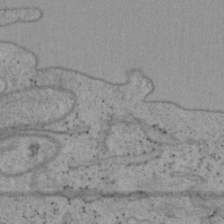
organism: Human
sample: HeLa cells